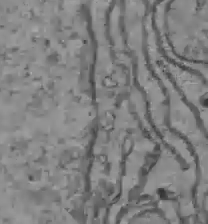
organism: C57BL Mouse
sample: Liver